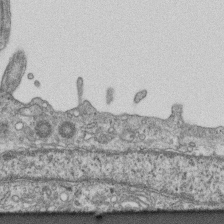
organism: Mouse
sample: Centriole in ependymal cells